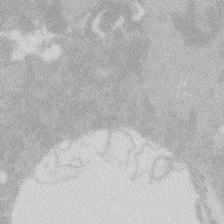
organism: Zebrafish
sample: Macrophage